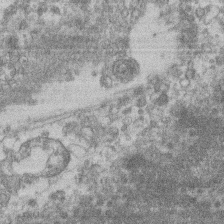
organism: Mouse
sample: T cell stromal cell synapse